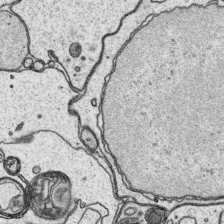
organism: Platynereis dumerilii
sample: Parapodia